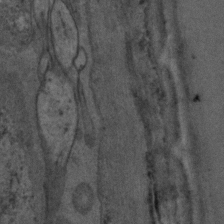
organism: C. elegans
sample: C. elegans embryo